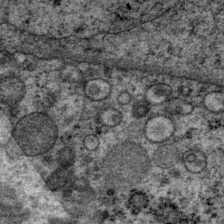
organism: P. pacificus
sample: Pharynx